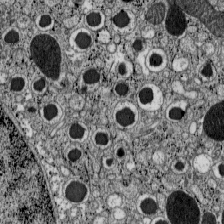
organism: C57BL Mouse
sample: Pancreatic islet